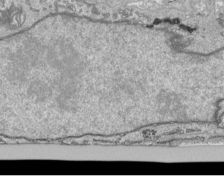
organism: Human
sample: Mitochondria in HCT116 cells